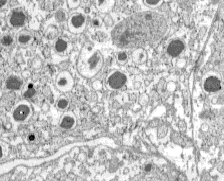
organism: C57BL Mouse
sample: Pancreatic islet